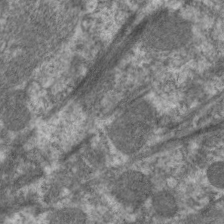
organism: C. elegans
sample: Pharynx